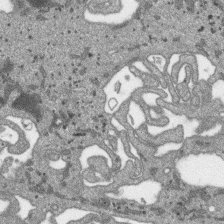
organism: Human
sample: Lung epithelial cells infected with SARS-CoV-2